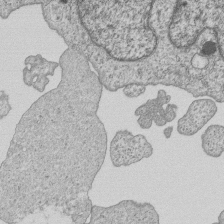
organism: Human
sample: MDA-MB-231 cells